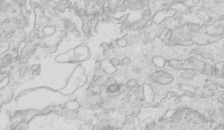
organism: Mouse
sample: Multiciliated cells